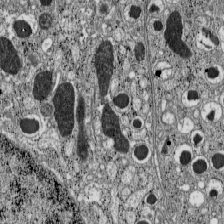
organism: C57BL Mouse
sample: Pancreatic islet